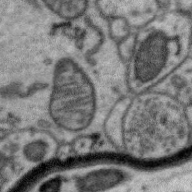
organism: Zebra finch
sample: Brain